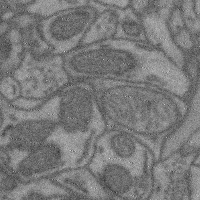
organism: Mouse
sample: Cerebral cortex